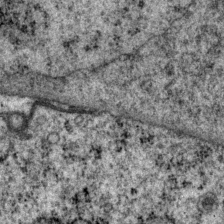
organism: P. pacificus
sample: Pharynx